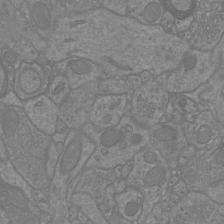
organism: Mouse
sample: Cortical neurons